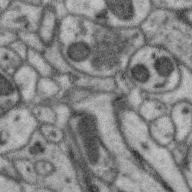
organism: Zebra finch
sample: Brain